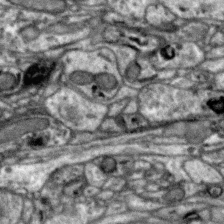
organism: Zebra finch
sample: Brain